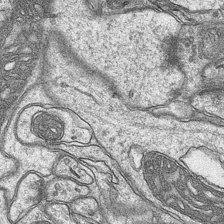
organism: Mouse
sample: CA1 Hippocampus